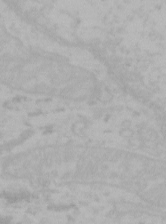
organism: Mouse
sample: Choroid plexus